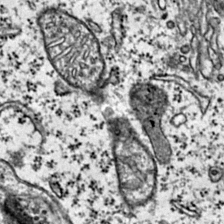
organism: Mouse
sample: Primary visual cortex